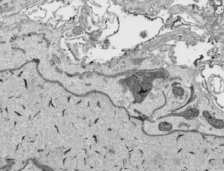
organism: Human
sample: Mitochondria in HCT116 cells